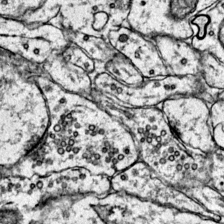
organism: Mouse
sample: Primary visual cortex